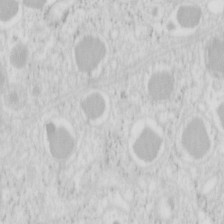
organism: Mouse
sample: Pancreas